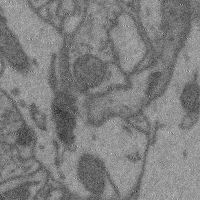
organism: Mouse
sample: Cerebral cortex